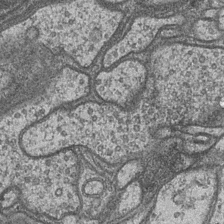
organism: Drosophila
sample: Optic medulla